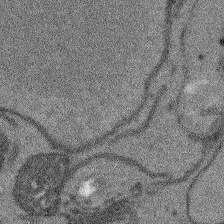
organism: Arabidopsis thaliana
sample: Root tip